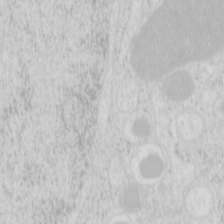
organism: Mouse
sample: Pancreas